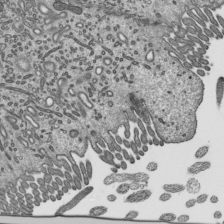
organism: Mouse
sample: Mouse epididymis efferent ductule cilia